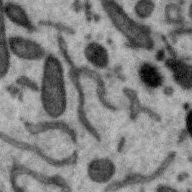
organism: Zebra finch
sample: Brain